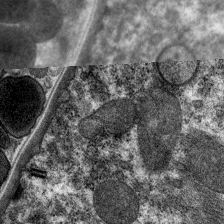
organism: C. elegans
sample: Pharynx